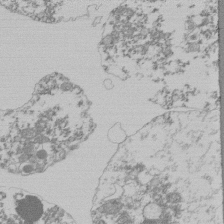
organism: Mouse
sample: Activated Pmel transgenic CD8+ T Cells